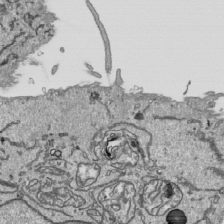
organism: Human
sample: Mitochondria in HCT116 cells